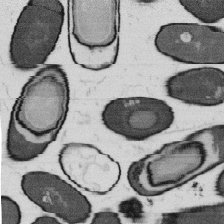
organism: B. subtilis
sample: Bacterial spore